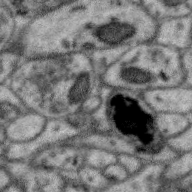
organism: Zebra finch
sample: Brain